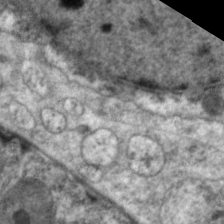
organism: C. elegans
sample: Pharynx